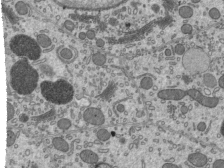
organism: Mouse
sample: Mouse epididymis efferent ductule cilia